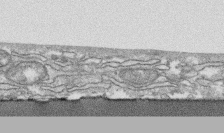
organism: Human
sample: CRL-1474